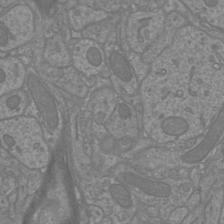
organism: Mouse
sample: Cortical neurons